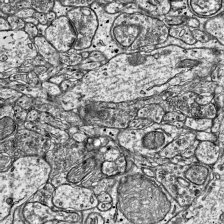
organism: Mouse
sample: Visual Cortex